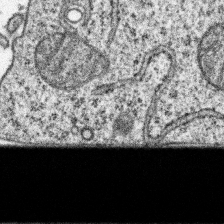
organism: Human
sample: HeLa cells